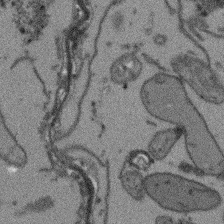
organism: Arabidopsis thaliana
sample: Root tip